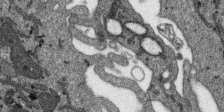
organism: Human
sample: Lung epithelial cells infected with SARS-CoV-2